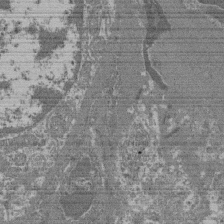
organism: Mouse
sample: Glomerulus